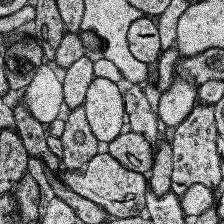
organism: Human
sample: Temporal Lobe